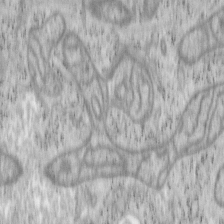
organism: Human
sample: HeLa cells